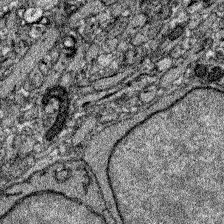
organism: Zebrafish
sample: Larval olfactory bulb